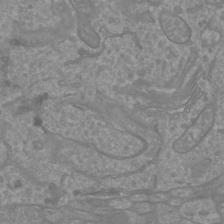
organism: Mouse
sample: Cortical neurons